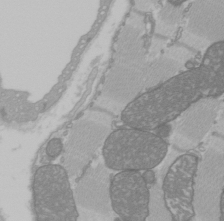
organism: C57BL Mouse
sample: Heart